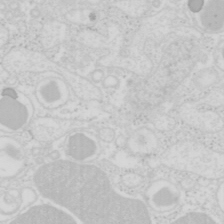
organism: Mouse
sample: Pancreas